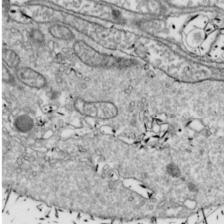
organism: Drosophila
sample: Cell division; meiosis; drosophila spermatocytes